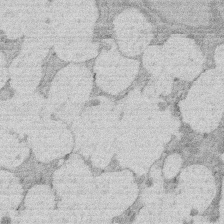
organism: Rat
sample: Salivary granule